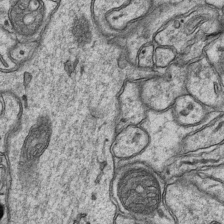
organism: Mouse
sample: CA1 Hippocampus